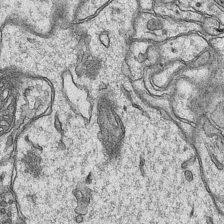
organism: Mouse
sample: CA1 Hippocampus